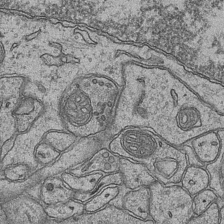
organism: Mouse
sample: CA1 Hippocampus